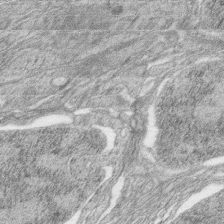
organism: Zebrafish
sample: synaptic ribbons in rod cells and cone cells